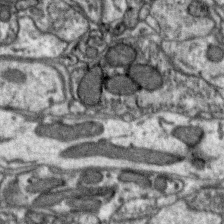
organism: Zebra finch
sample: Brain